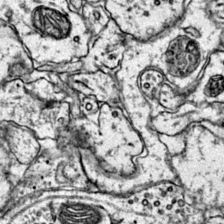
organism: Mouse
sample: Primary visual cortex